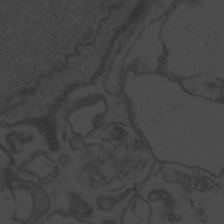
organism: Zebrafish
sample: Macrophage infected with Toxoplasma gondii